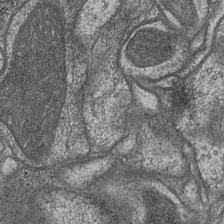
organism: Drosophila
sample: Optic medulla